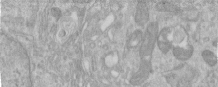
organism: Human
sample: Centriole in RPE cells